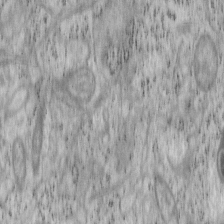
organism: Human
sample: HeLa cells